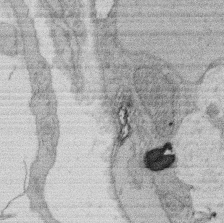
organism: Rat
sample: Salivary granule